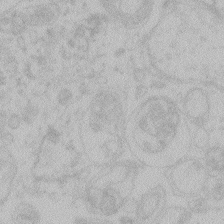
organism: Zebrafish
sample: Macrophage infected with Toxoplasma gondii